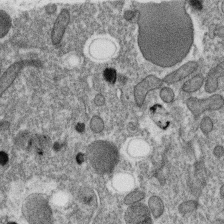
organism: C. elegans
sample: C. elegans oocyte; sperm cells